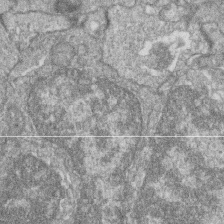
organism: Zebrafish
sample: Cilia; retinal pigment epithelium